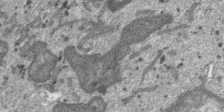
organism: Human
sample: Lung epithelial cells infected with SARS-CoV-2